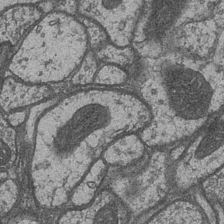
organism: Drosophila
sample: Optic medulla